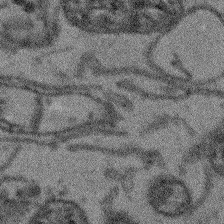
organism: Arabidopsis thaliana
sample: Root tip